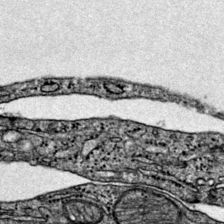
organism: Mouse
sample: Primary visual cortex